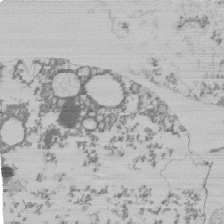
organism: Mouse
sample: Activated Pmel transgenic CD8+ T Cells